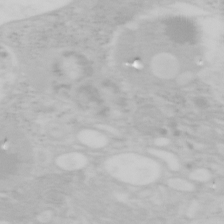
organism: Mouse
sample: OT-I killer T cells with ID8 ovarian cancer cells